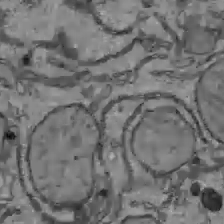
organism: C57BL Mouse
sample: Liver